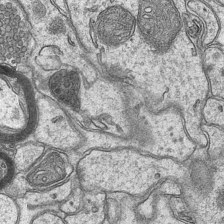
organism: Mouse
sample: CA1 Hippocampus